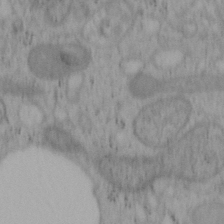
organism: Mouse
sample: OT-I killer T cells with ID8 ovarian cancer cells